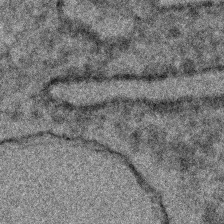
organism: C. elegans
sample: C. elegans embryo